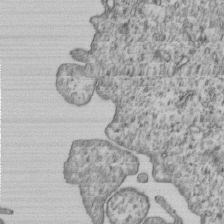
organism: Human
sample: MDA-MB-231 cells